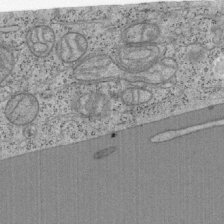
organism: Human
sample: HeLa cells